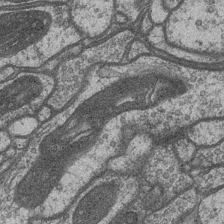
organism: Drosophila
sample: Optic medulla